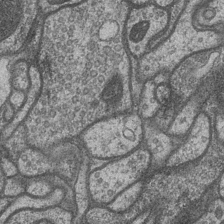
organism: Drosophila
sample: Optic medulla